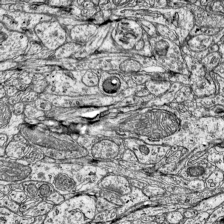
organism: Mouse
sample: Visual Cortex